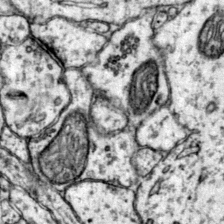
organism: Mouse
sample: Primary visual cortex